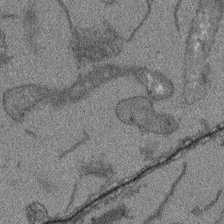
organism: Arabidopsis thaliana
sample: Root tip